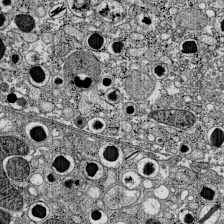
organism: C57BL Mouse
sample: Pancreatic islet